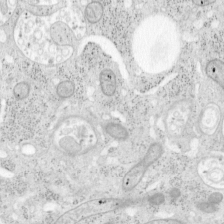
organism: Mouse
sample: OT-I killer T cells with ID8 ovarian cancer cells